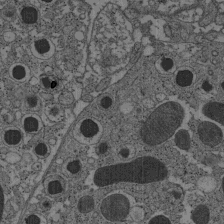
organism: C57BL Mouse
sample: Pancreatic islet